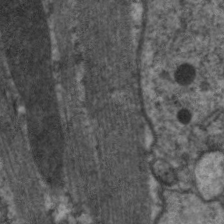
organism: C. elegans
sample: Pharynx